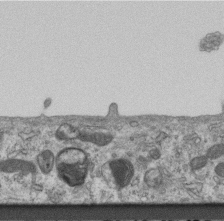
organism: Mouse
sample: Centriole in ependymal cells